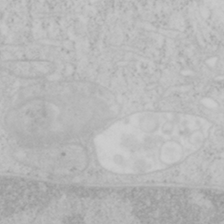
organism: Mouse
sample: OT-I killer T cells with ID8 ovarian cancer cells